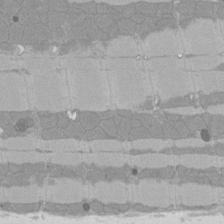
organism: Rat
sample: Left ventricle